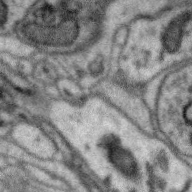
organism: Zebra finch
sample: Brain